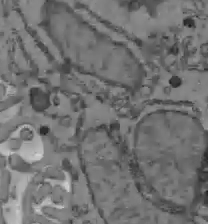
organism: C57BL Mouse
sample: Liver